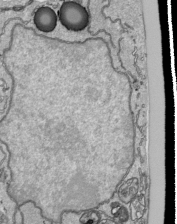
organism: Human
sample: Mitochondria in HCT116 cells